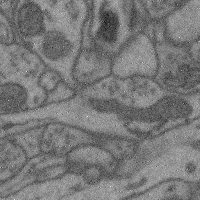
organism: Mouse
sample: Cerebral cortex